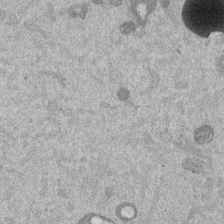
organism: Mouse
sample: Dividing mouse embryo 1 cell stage